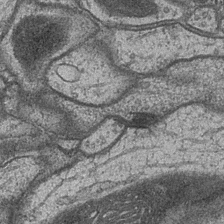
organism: Drosophila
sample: Optic medulla